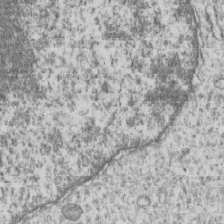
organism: Human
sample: MDA-MB-231 cells